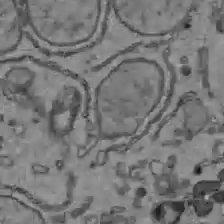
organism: C57BL Mouse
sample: Liver